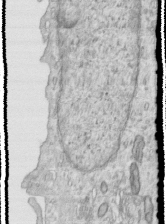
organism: Human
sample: Centriole in RPE cells